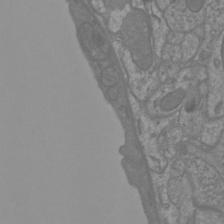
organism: Mouse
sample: Cortical neurons